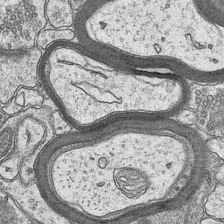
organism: Mouse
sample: CA1 Hippocampus